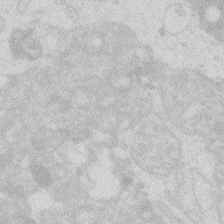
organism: Zebrafish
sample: Macrophage